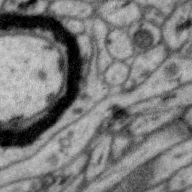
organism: Zebra finch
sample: Brain